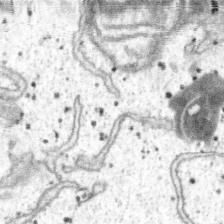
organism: Human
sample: HeLa cells